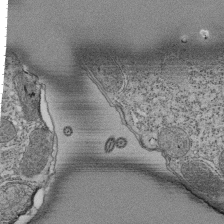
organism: Tetrahymena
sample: Cilia in tetrahymena